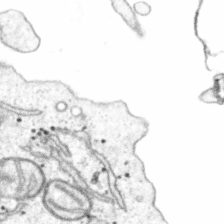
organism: Human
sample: HeLa cells